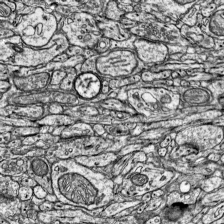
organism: Mouse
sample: Visual Cortex